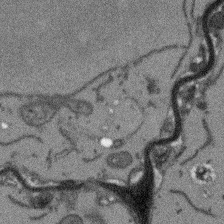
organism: Arabidopsis thaliana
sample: Root tip